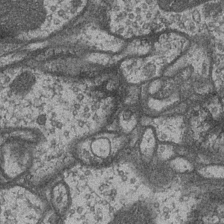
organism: Drosophila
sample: Optic medulla